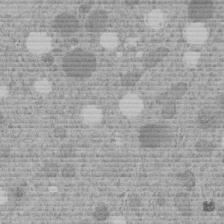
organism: C. elegans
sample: C. elegans embryo early stage